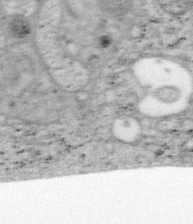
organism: Mouse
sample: OT-I killer T cells with ID8 ovarian cancer cells